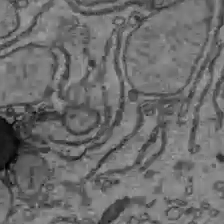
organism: C57BL Mouse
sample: Liver